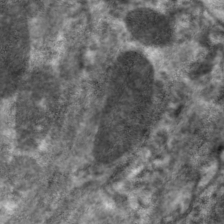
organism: C. elegans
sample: Pharynx